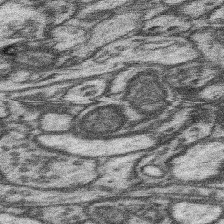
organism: Mouse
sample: Somatosensory cortex neuropil